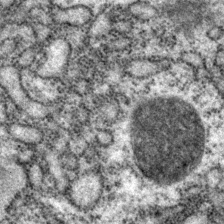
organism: P. pacificus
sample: Pharynx